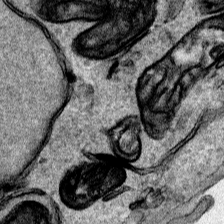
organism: Human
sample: Mitochondria in HCT116 cells